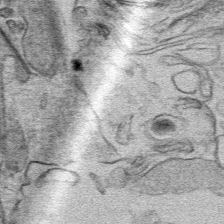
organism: Mouse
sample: Mouse hepatocytes